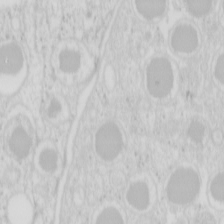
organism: Mouse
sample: Pancreas